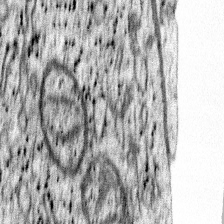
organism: Human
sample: HeLa cells